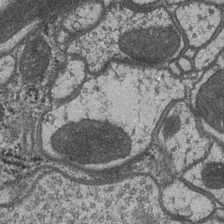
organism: Drosophila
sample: Optic medulla